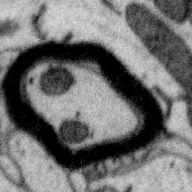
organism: Zebra finch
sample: Brain